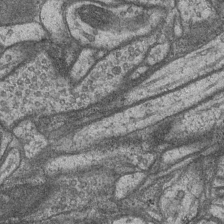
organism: Drosophila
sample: Optic medulla